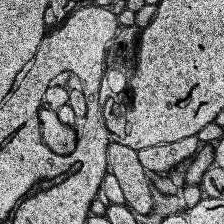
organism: Human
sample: Temporal Lobe